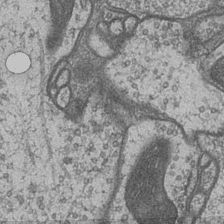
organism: Drosophila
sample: Optic medulla